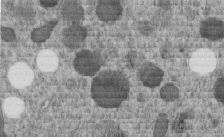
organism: C. elegans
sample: C. elegans embryo early stage